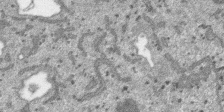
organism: Human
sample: Lung epithelial cells infected with SARS-CoV-2